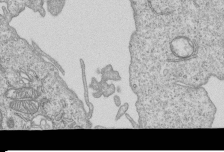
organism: Human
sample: MDA-MB-231 cells